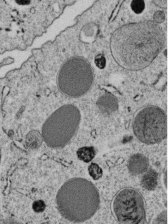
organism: C. elegans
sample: C. elegans embryo early stage